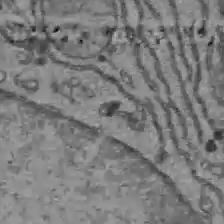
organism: C57BL Mouse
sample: Liver